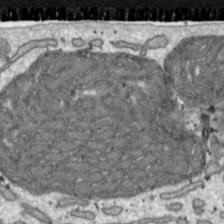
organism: Toxoplasma gondii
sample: Parasites in a vacuole inside a host cell